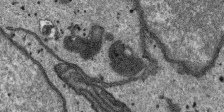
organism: Human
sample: Lung epithelial cells, uninfected (mock) control